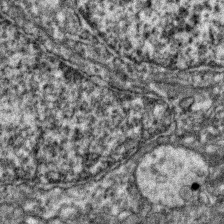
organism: Zebrafish